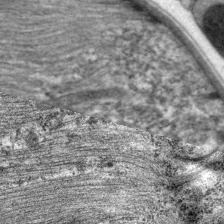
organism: C. elegans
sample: Pharynx